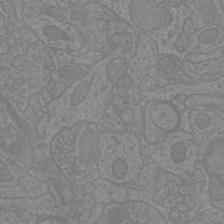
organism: Mouse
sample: Cortical neurons